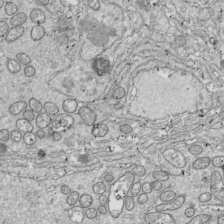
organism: Drosophila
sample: Cell division; meiosis; drosophila spermatocytes